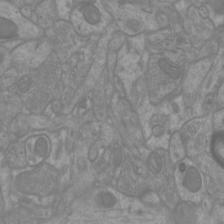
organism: Mouse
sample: Cortical neurons